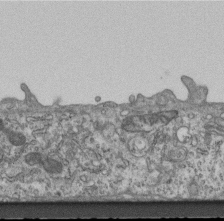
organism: Mouse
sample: Centriole in ependymal cells